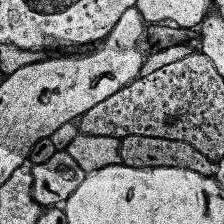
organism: Human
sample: Temporal Lobe